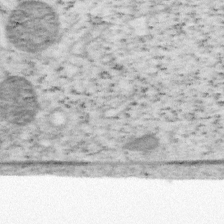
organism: Mouse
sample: OT-I killer T cells with ID8 ovarian cancer cells